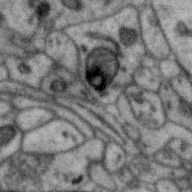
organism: Zebra finch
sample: Brain